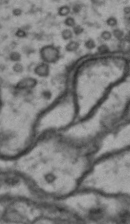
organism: Drosophila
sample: Brain